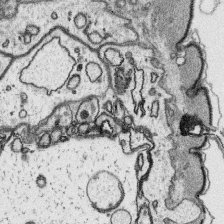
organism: Platynereis dumerilii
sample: Parapodia